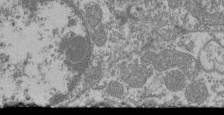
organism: Mouse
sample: Glomerulus